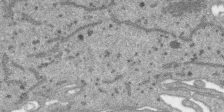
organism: Human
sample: Lung epithelial cells infected with SARS-CoV-2